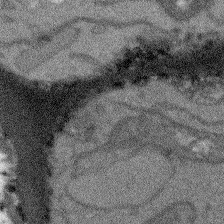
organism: Arabidopsis thaliana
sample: Root tip